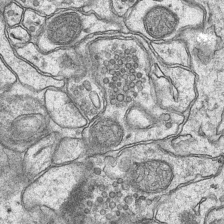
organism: Mouse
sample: CA1 Hippocampus